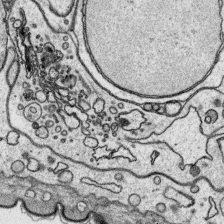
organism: Platynereis dumerilii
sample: Parapodia